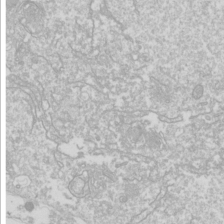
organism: Drosophila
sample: Cell division; meiosis; drosophila spermatocytes